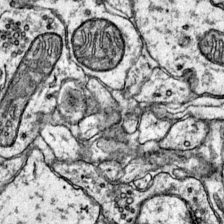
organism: Mouse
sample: Primary visual cortex